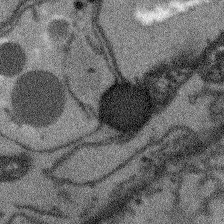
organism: Arabidopsis thaliana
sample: Root tip